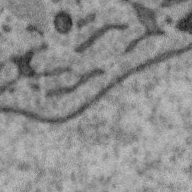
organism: Zebra finch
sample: Brain